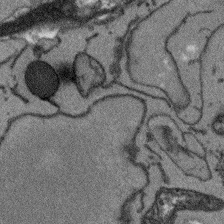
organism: Arabidopsis thaliana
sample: Root tip